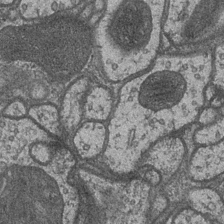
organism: Drosophila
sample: Optic medulla